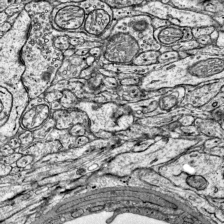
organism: Mouse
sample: Visual Cortex